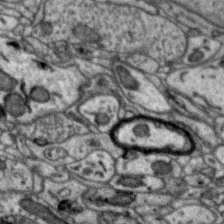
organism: Zebra finch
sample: Brain